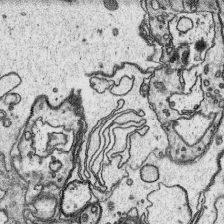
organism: Platynereis dumerilii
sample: Parapodia